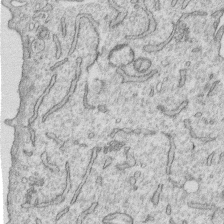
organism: Human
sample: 1205lu cells